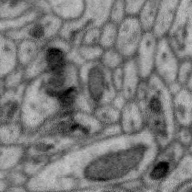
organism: Zebra finch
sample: Brain